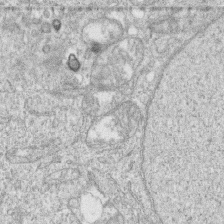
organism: Human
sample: HeLa cell HIV synapse